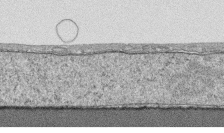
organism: Human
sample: CRL-1474